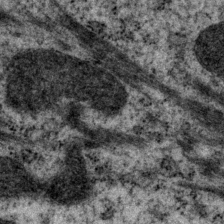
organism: P. pacificus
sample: Pharynx